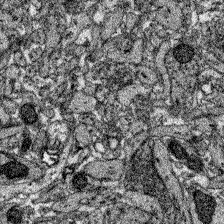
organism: Zebrafish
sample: Larval olfactory bulb